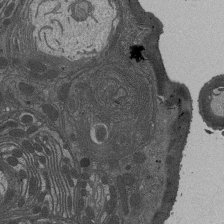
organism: Drosophila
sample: Antenna